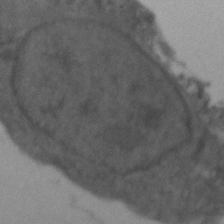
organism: Zebrafish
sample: Zebrafish embryo